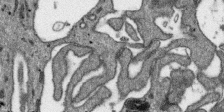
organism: Human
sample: Lung epithelial cells, uninfected (mock) control